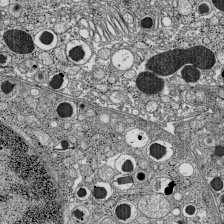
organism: C57BL Mouse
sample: Pancreatic islet